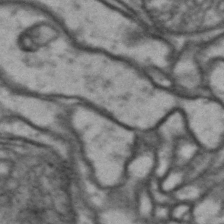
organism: Drosophila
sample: Brain